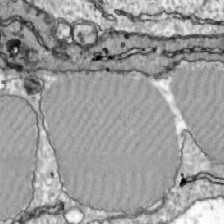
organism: Zebrafish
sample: Actinotrichia fibers